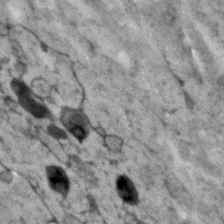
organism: Human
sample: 1205lu cells